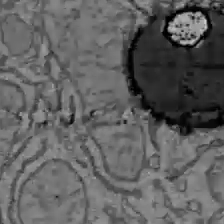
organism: C57BL Mouse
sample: Liver